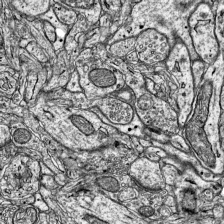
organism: Mouse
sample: Visual Cortex